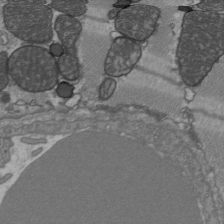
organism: C57BL Mouse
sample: Heart